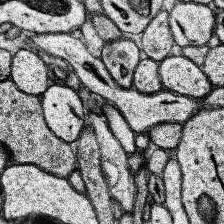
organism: Human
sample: Temporal Lobe